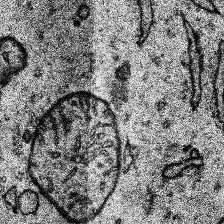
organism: Human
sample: Temporal Lobe